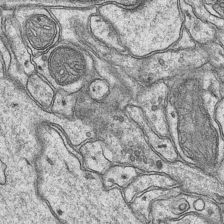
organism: Mouse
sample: CA1 Hippocampus